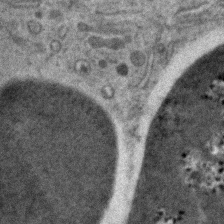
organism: Zebrafish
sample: Zebrafish embryo